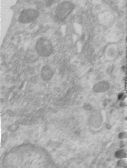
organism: Human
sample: Centriole in RPE cells